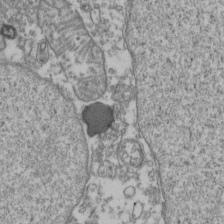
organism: Human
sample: Activated Jurkat CD4+ T cells